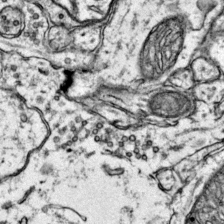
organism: Mouse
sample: Primary visual cortex